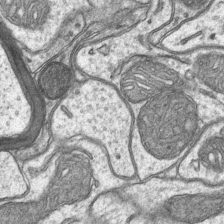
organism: Mouse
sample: CA1 Hippocampus